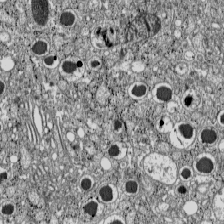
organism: C57BL Mouse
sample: Pancreatic islet